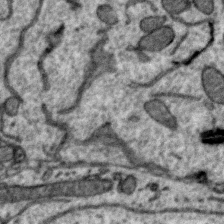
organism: Zebra finch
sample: Brain